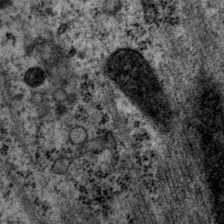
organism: P. pacificus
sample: Pharynx